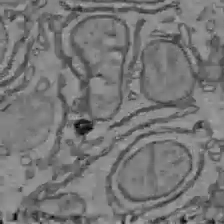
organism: C57BL Mouse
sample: Liver